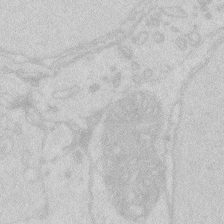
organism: Zebrafish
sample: Macrophage